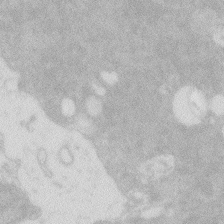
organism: Zebrafish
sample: Macrophage